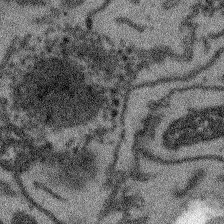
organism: Arabidopsis thaliana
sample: Root tip